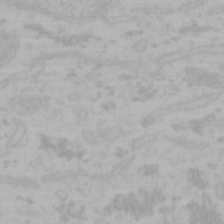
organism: Mouse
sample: Choroid plexus